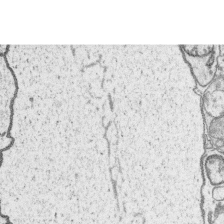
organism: Platynereis dumerilii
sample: Parapodia